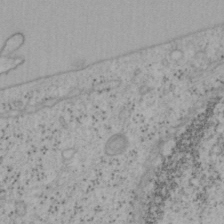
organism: Human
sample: HeLa cells